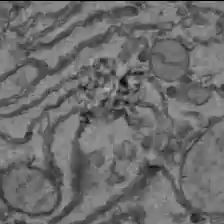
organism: C57BL Mouse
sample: Liver